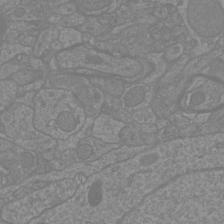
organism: Mouse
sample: Cortical neurons